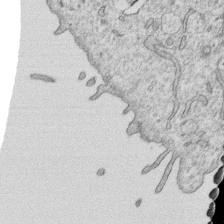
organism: Human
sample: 1205lu cells